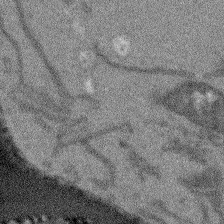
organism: Arabidopsis thaliana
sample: Root tip